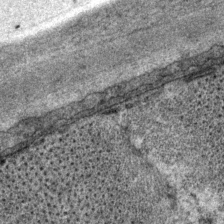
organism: P. pacificus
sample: Pharynx